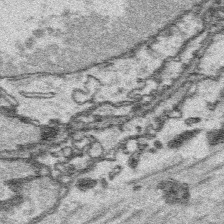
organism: Platynereis dumerilii